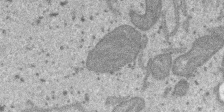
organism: Human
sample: Lung epithelial cells infected with SARS-CoV-2